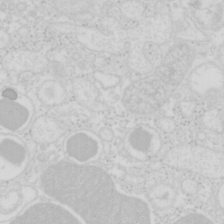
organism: Mouse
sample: Pancreas